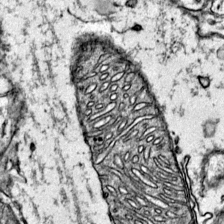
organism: Mouse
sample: Primary visual cortex